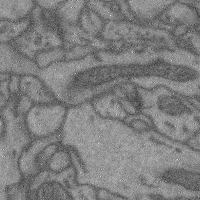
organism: Mouse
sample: Cerebral cortex